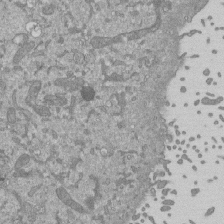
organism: Mouse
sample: ED-1 cell nuclei; centrioles